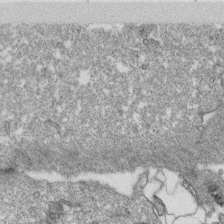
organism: African green monkey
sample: Vero E6 cells infected with SARS-CoV-2